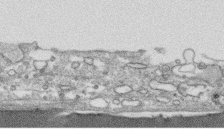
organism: Human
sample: CRL-1474